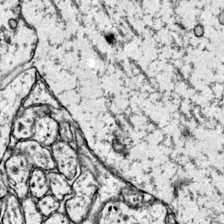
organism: Mouse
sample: Primary visual cortex